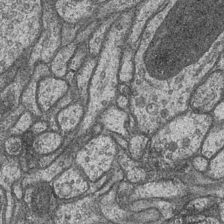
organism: Drosophila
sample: Optic medulla